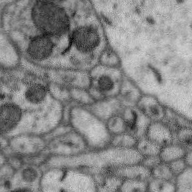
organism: Zebra finch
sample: Brain